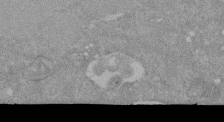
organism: Mouse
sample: ED-1 cell nuclei; centrioles